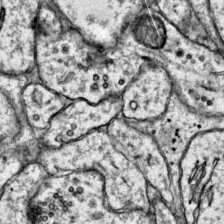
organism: Mouse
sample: Primary visual cortex